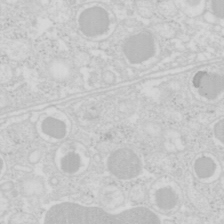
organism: Mouse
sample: Pancreas